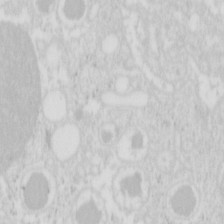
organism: Mouse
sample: Pancreas